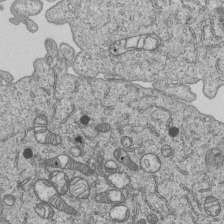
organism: Human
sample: MDA-MB-231 cells